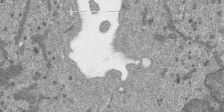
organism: Human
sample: Lung epithelial cells infected with SARS-CoV-2